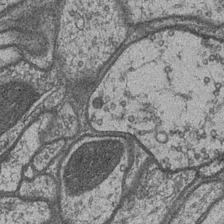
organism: Drosophila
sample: Optic medulla